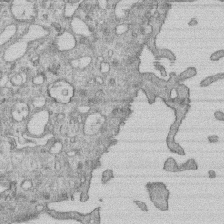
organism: Human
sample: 1205lu cells